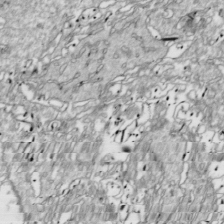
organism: Drosophila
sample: Cell division; meiosis; drosophila spermatocytes